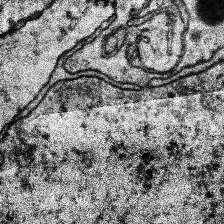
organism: Human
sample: Temporal Lobe